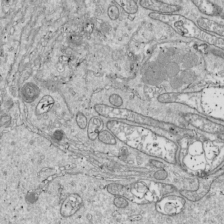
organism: Drosophila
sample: Cell division; meiosis; drosophila spermatocytes